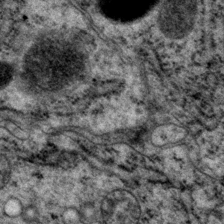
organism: P. pacificus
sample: Pharynx